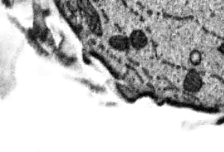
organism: Human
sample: HeLa cells